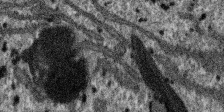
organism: Human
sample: Lung epithelial cells infected with SARS-CoV-2